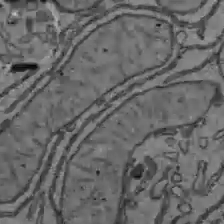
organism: C57BL Mouse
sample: Liver